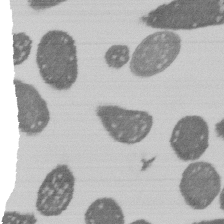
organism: E. coli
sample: Bacterial nucleoid